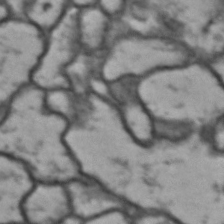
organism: Drosophila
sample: Brain